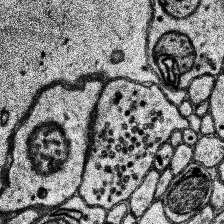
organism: Human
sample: Temporal Lobe